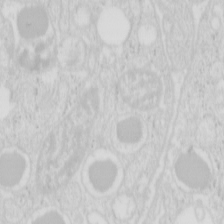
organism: Mouse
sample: Pancreas